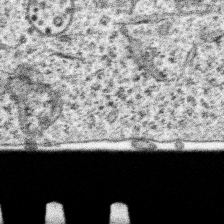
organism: Human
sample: HeLa cells